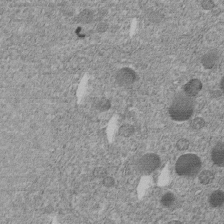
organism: C. elegans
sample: C. elegans embryo early stage